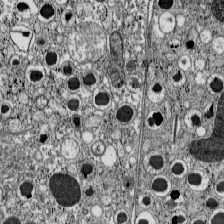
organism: C57BL Mouse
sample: Pancreatic islet